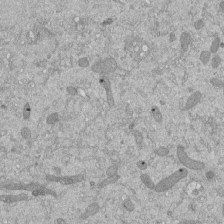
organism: Mouse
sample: ED-1 cell nuclei; centrioles